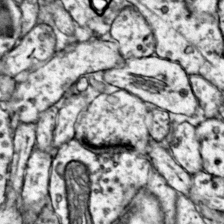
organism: Mouse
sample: Primary visual cortex